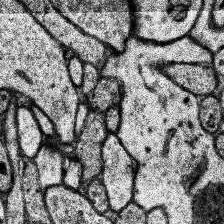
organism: Human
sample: Temporal Lobe